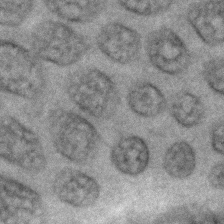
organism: C. elegans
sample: C. elegans embryo